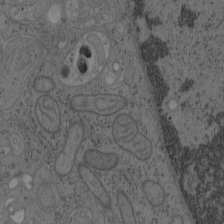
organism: Mouse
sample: OT-I killer T cells with ID8 ovarian cancer cells